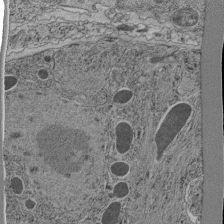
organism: C. elegans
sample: C. elegans pharynx